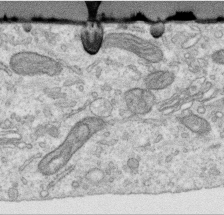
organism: Human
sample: Centriole in RPE cells